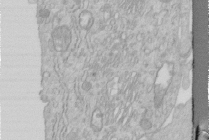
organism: Human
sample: Centriole in RPE cells